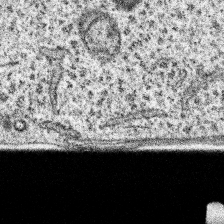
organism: Human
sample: HeLa cells